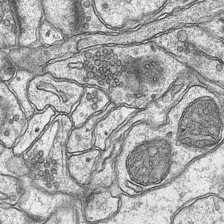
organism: Mouse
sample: CA1 Hippocampus